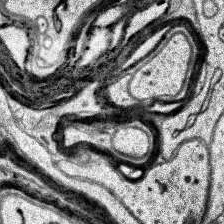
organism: Human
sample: Temporal Lobe